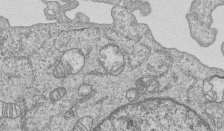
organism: Human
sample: MDA-MB-231 cells